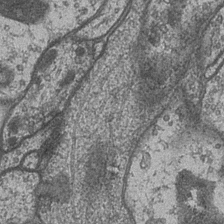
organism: Drosophila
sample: Optic medulla